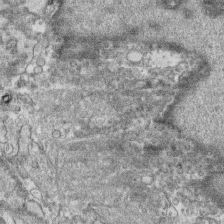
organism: Human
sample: CRL-1474